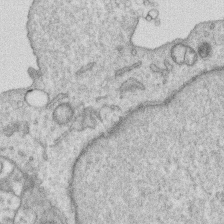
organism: Human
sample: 1205lu cells